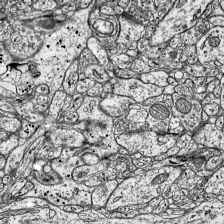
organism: Mouse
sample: Visual Cortex